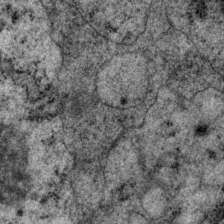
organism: P. pacificus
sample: Pharynx